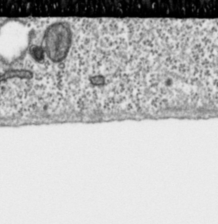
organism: Toxoplasma gondii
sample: Parasites in a vacuole inside a host cell